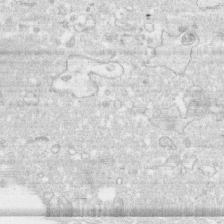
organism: Human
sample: CRL-1474